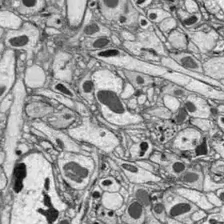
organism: Drosophila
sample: Optic lobe